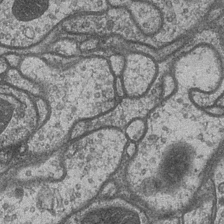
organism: Drosophila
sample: Optic medulla